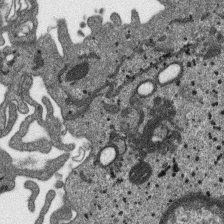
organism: Human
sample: Lung epithelial cells infected with SARS-CoV-2